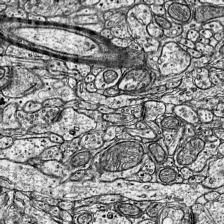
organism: Mouse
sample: Visual Cortex